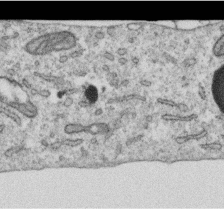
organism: Human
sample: Centriole in RPE cells